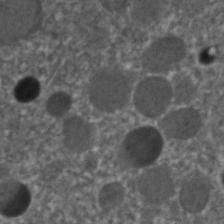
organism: C. elegans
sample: C. elegans embryo